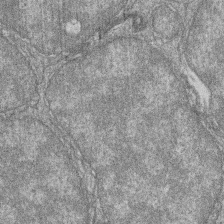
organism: Zebrafish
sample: Cilia; retinal pigment epithelium